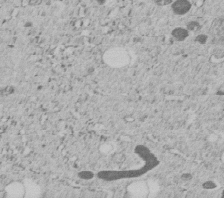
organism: C. elegans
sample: C. elegans embryo early stage